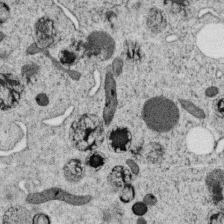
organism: C. elegans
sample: C. elegans oocyte; sperm cells